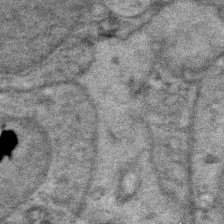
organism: Zebrafish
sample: Zebrafish embryo